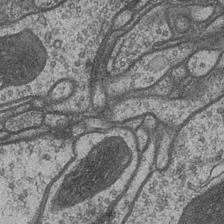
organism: Drosophila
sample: Optic medulla